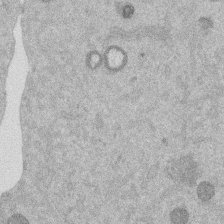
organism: Mouse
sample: Dividing mouse embryo 1 cell stage